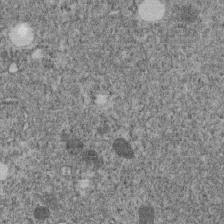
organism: C. elegans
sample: C. elegans embryo early stage